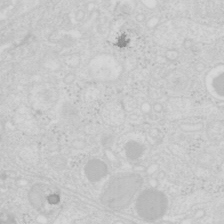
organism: Mouse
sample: Pancreas